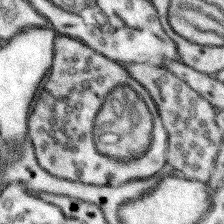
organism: Mouse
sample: Somatosensory cortex neuropil